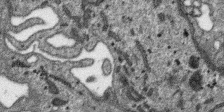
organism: Human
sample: Lung epithelial cells infected with SARS-CoV-2